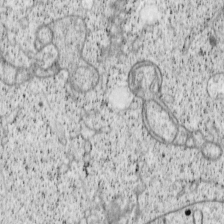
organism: African green monkey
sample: COS-7 cells